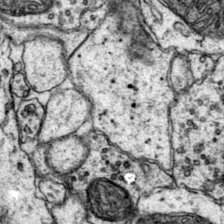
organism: Mouse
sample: Primary visual cortex